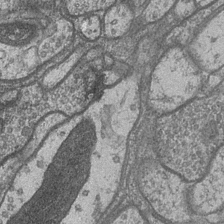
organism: Drosophila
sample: Optic medulla